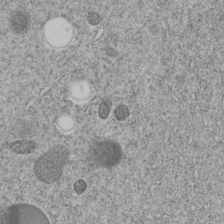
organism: C. elegans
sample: C. elegans embryo early stage